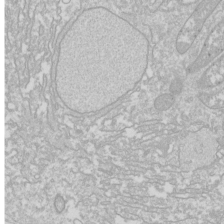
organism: Drosophila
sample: Cell division; meiosis; drosophila spermatocytes